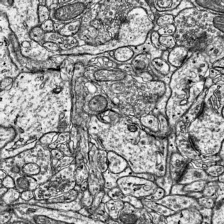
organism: Mouse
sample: Visual Cortex